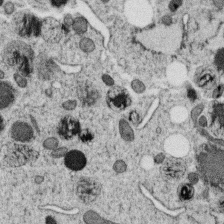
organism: C. elegans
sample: C. elegans oocyte; sperm cells